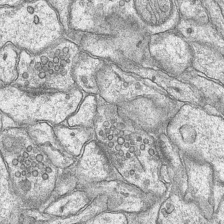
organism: Mouse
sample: CA1 Hippocampus